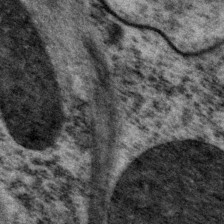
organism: P. pacificus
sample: Pharynx